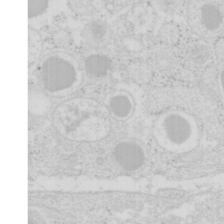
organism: Mouse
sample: Pancreas